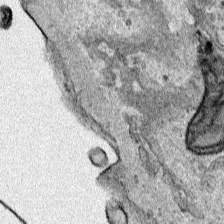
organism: Human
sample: Mitochondria in HCT116 cells